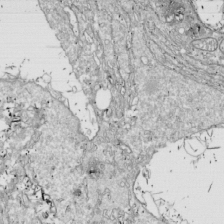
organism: Drosophila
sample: Cell division; meiosis; drosophila spermatocytes